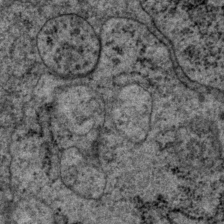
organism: P. pacificus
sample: Pharynx